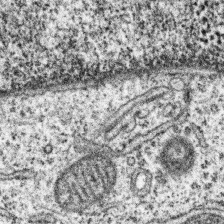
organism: Human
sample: HeLa cells